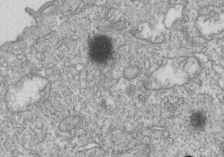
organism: Human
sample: HeLa cell HIV synapse